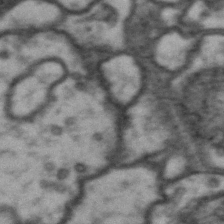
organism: Drosophila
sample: Brain